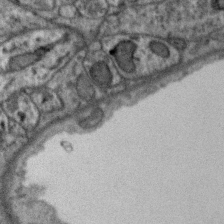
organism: Zebra finch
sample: Brain